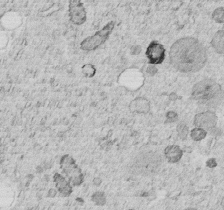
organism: C. elegans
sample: C. elegans embryo early stage